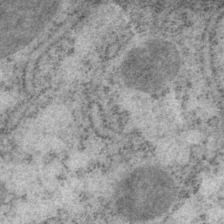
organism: P. pacificus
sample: Pharynx